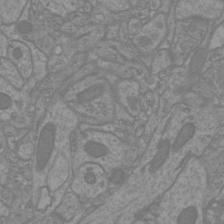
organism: Mouse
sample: Cortical neurons